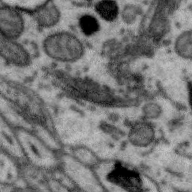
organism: Zebra finch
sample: Brain